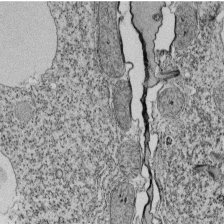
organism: Tetrahymena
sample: Cilia in tetrahymena